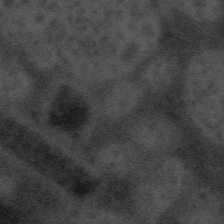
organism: Tuwongella immobilis